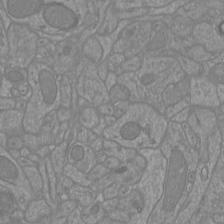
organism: Mouse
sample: Cortical neurons